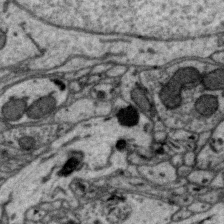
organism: Zebra finch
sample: Brain